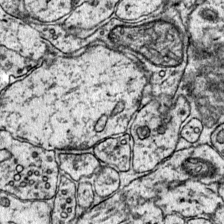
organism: Mouse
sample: Primary visual cortex